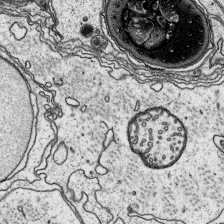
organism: Platynereis dumerilii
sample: Parapodia